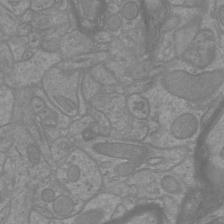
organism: Mouse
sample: Cortical neurons